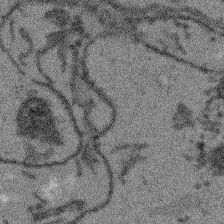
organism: Arabidopsis thaliana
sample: Root tip